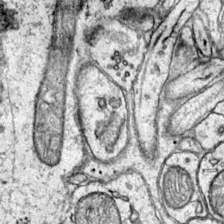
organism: Mouse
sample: Primary visual cortex